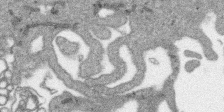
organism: Human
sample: Lung epithelial cells infected with SARS-CoV-2